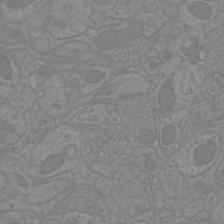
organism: Mouse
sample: Cortical neurons